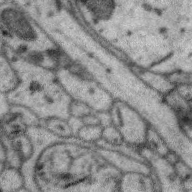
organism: Zebra finch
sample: Brain